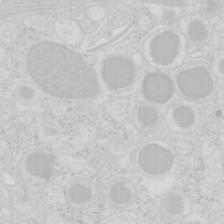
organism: Mouse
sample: Pancreas